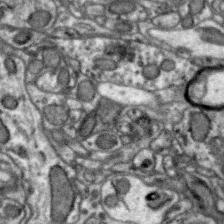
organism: Zebra finch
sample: Brain